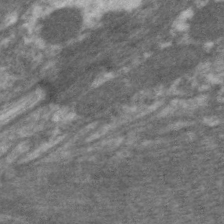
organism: C. elegans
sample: Pharynx